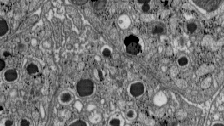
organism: C57BL Mouse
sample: Pancreatic islet